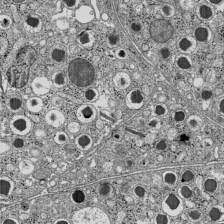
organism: C57BL Mouse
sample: Pancreatic islet